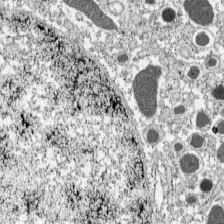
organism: C57BL Mouse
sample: Pancreatic islet